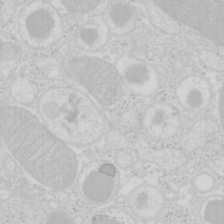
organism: Mouse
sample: Pancreas